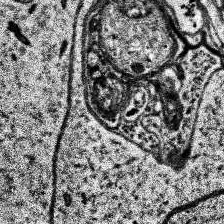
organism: Human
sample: Temporal Lobe